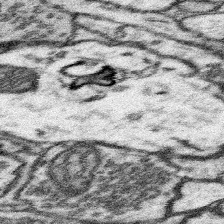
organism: Mouse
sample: Somatosensory cortex neuropil